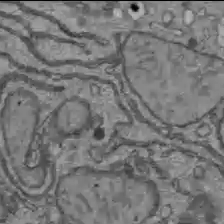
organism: C57BL Mouse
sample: Liver